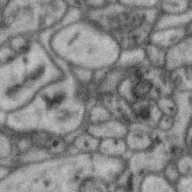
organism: Zebra finch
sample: Brain